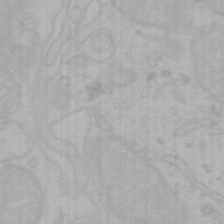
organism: Mouse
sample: Choroid plexus